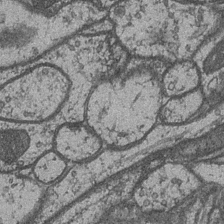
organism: Drosophila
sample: Optic medulla